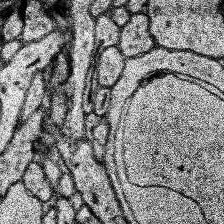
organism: Human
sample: Temporal Lobe